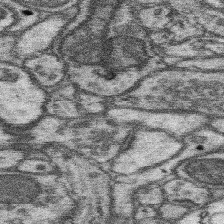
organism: Mouse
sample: Somatosensory cortex neuropil